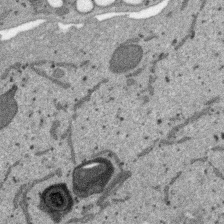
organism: Human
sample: Lung epithelial cells infected with SARS-CoV-2